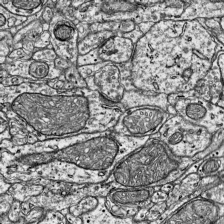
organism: Mouse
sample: Visual Cortex